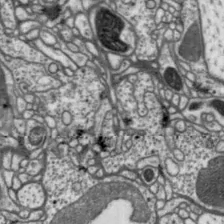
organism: Drosophila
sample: Protocerebral bridge